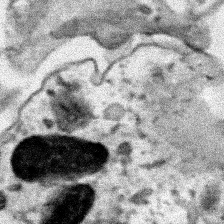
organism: Human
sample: Mitochondria in HCT116 cells